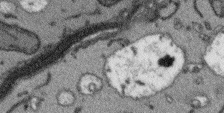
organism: Arabidopsis thaliana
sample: Root tip